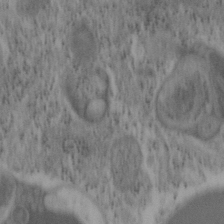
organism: Mouse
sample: OT-I killer T cells with ID8 ovarian cancer cells